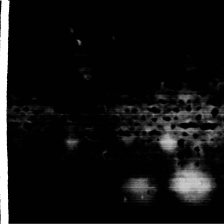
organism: Human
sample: Centriole in RPE cells